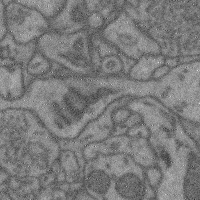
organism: Mouse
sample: Cerebral cortex